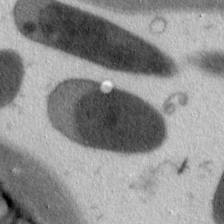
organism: C. elegans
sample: Pharynx